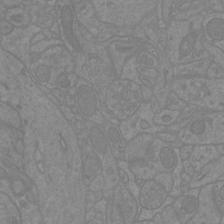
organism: Mouse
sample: Cortical neurons